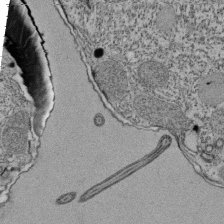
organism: Tetrahymena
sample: Cilia in tetrahymena